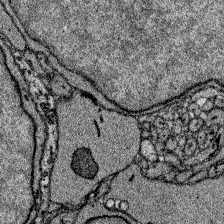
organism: Zebrafish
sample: Larval olfactory bulb